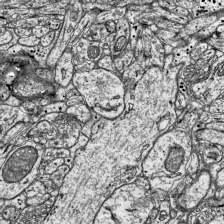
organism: Mouse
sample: Visual Cortex